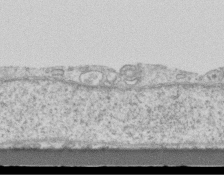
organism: Mouse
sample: Centriole in ependymal cells